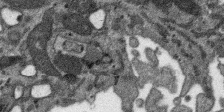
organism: Human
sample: Lung epithelial cells infected with SARS-CoV-2